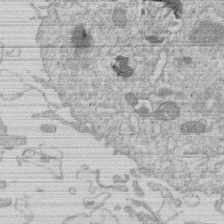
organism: Human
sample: Macrophage cells